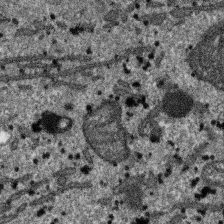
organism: Human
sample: Lung epithelial cells infected with SARS-CoV-2